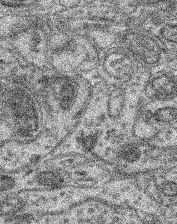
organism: Mouse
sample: Retina